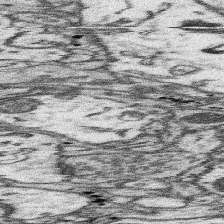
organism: Mouse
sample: Somatosensory cortex neuropil